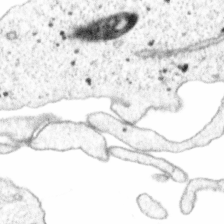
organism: Human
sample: HeLa cells